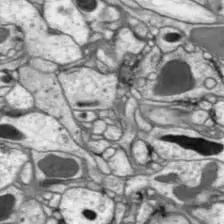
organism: Drosophila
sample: Optic lobe